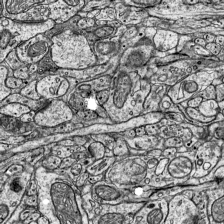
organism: Mouse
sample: Visual Cortex